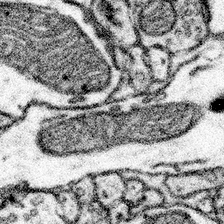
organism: Mouse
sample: Somatosensory cortex neuropil